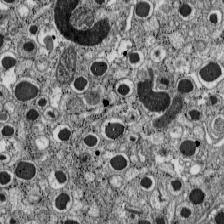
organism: C57BL Mouse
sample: Pancreatic islet